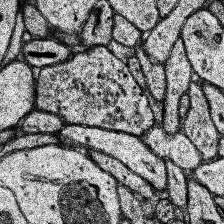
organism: Human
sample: Temporal Lobe